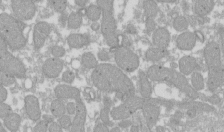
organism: Xenopus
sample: Cilia; centrioles in frog embryo cells